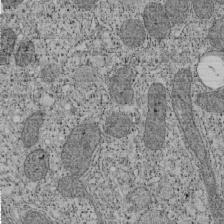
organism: Tetrahymena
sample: Cilia in tetrahymena